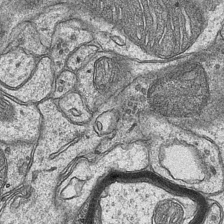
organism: Mouse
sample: CA1 Hippocampus